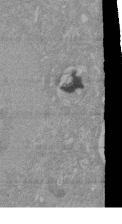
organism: Mouse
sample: ED-1 cell nuclei; centrioles